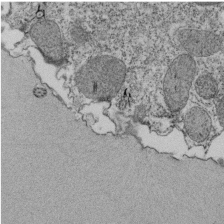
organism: Tetrahymena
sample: Cilia in tetrahymena